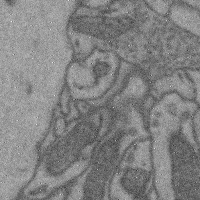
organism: Mouse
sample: Cerebral cortex